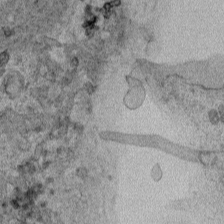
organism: Human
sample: Mitochondria in HCT116 cells